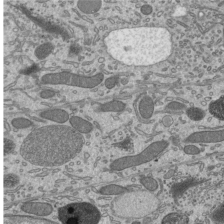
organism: Mouse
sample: Mouse epididymis efferent ductule cilia